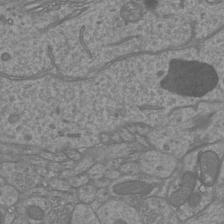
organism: Mouse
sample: Cortical neurons